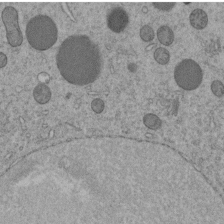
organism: C. elegans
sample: C. elegans embryo early stage